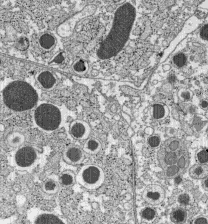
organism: C57BL Mouse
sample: Pancreatic islet